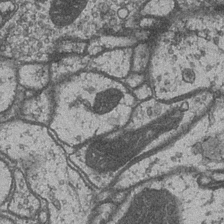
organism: Drosophila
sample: Optic medulla